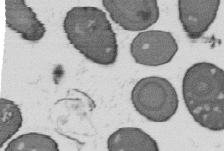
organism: B. subtilis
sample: Bacterial spore